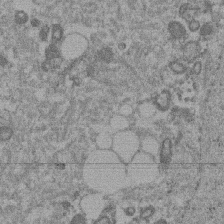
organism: Mouse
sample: Dividing mouse embryo 1 cell stage